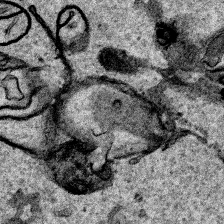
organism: Human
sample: Mitochondria in HCT116 cells